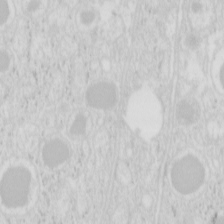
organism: Mouse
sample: Pancreas